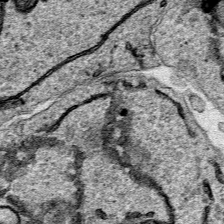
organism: Human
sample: Mitochondria in HCT116 cells